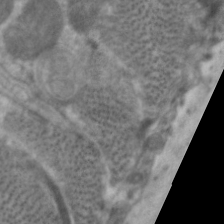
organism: C. elegans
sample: Pharynx